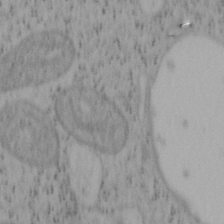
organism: Mouse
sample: OT-I killer T cells with ID8 ovarian cancer cells